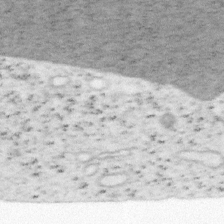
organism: Mouse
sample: OT-I killer T cells with ID8 ovarian cancer cells